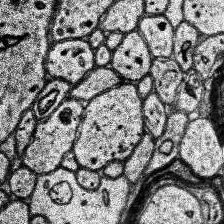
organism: Human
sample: Temporal Lobe